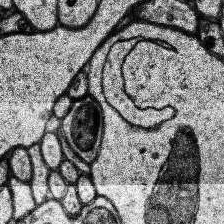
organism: Human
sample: Temporal Lobe